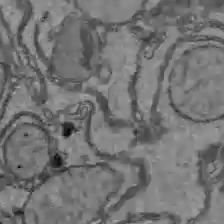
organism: C57BL Mouse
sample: Liver